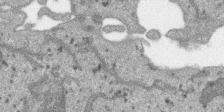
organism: Human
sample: Lung epithelial cells infected with SARS-CoV-2